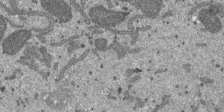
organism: Human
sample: Lung epithelial cells infected with SARS-CoV-2